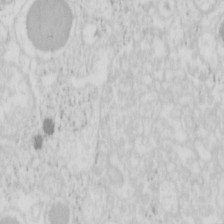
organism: Mouse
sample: Pancreas